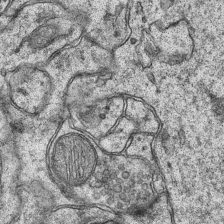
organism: Mouse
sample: CA1 Hippocampus